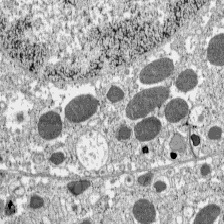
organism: C57BL Mouse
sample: Pancreatic islet